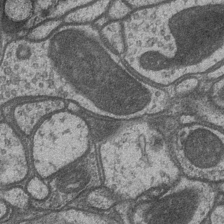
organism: Drosophila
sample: Optic medulla